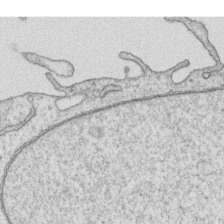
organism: Human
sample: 1205lu cells